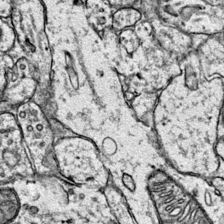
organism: Mouse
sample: Primary visual cortex